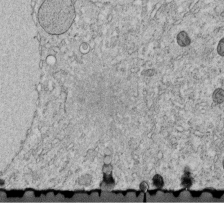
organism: C. elegans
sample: C. elegans embryo early stage